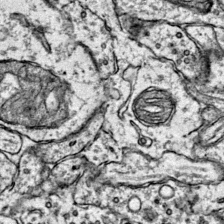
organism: Mouse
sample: Primary visual cortex